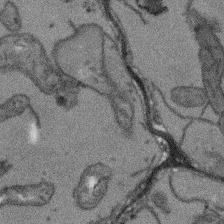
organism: Arabidopsis thaliana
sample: Root tip